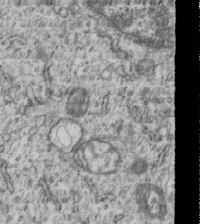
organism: Human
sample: MDA-MB-231 cells